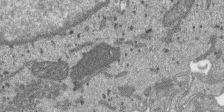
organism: Human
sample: Lung epithelial cells infected with SARS-CoV-2